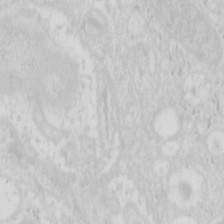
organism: Mouse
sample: Pancreas